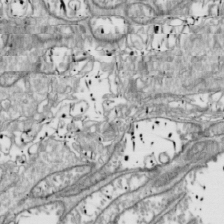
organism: Drosophila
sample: Cell division; meiosis; drosophila spermatocytes